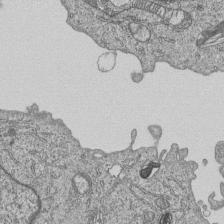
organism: Human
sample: MDA-MB-231 cells